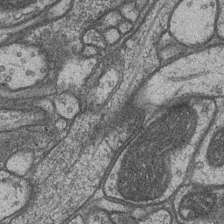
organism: Drosophila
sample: Optic medulla